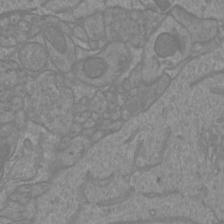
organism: Mouse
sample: Cortical neurons